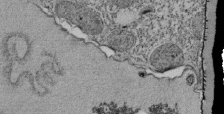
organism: Tetrahymena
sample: Cilia in tetrahymena